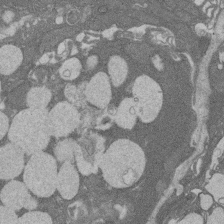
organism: Rat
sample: Salivary granule